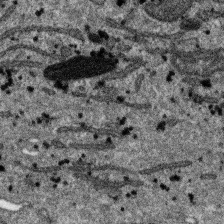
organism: Human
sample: Lung epithelial cells infected with SARS-CoV-2